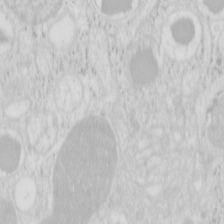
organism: Mouse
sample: Pancreas